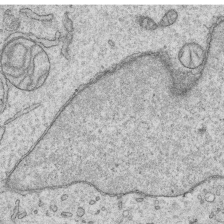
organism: Human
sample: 1205lu cells